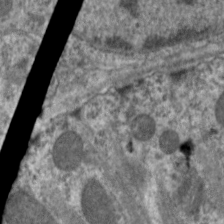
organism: C. elegans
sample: Pharynx